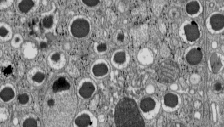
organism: C57BL Mouse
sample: Pancreatic islet